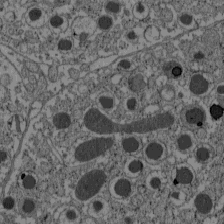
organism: C57BL Mouse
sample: Pancreatic islet